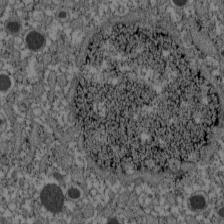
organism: C57BL Mouse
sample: Pancreatic islet